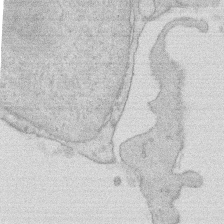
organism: Rat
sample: Salivary granule